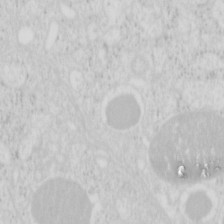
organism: Mouse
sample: Pancreas